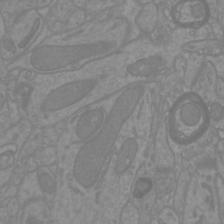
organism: Mouse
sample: Cortical neurons